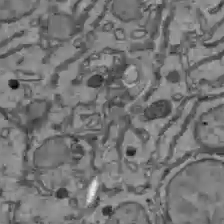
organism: C57BL Mouse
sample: Liver